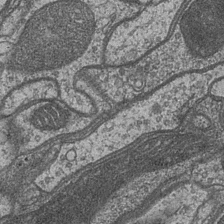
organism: Drosophila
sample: Optic medulla